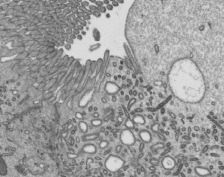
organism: Mouse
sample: Mouse epididymis efferent ductule cilia